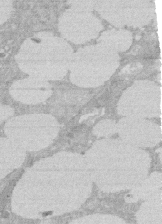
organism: Rat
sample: Salivary granule